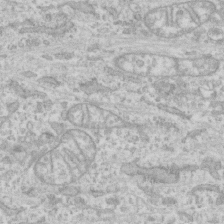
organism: Human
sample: CRL-1474